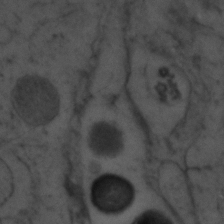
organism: Zebrafish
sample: Zebrafish embryo